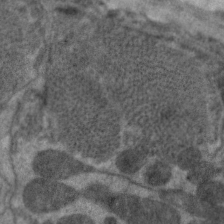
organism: C. elegans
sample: Pharynx